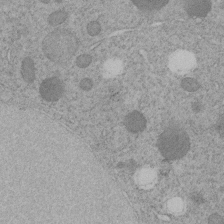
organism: C. elegans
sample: C. elegans embryo early stage